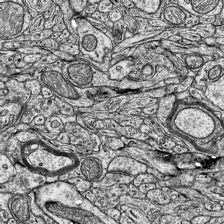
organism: Mouse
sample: Visual Cortex